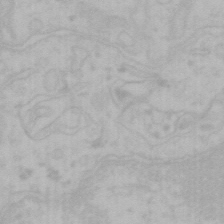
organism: Mouse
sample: Choroid plexus